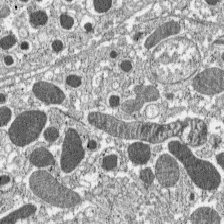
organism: C57BL Mouse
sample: Pancreatic islet